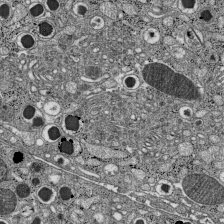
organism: C57BL Mouse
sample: Pancreatic islet